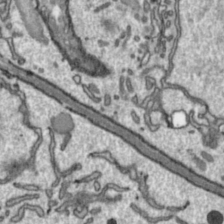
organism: Toxoplasma gondii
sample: Parasites in a vacuole inside a host cell